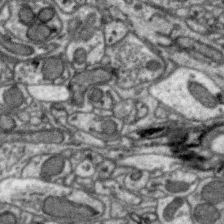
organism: Zebra finch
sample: Brain